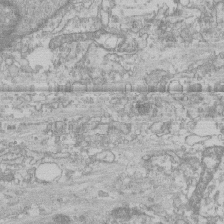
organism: Human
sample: CRL-1474